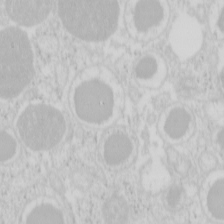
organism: Mouse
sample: Pancreas